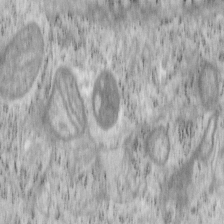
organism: Human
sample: HeLa cells